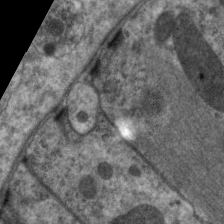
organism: C. elegans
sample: Pharynx